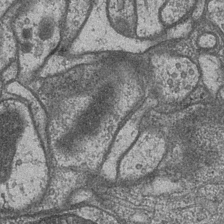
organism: Drosophila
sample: Optic medulla